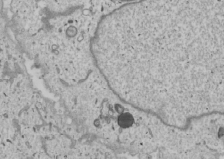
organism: Human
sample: Mitochondria in U2OS cells